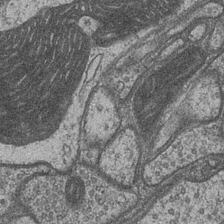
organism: Drosophila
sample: Optic medulla